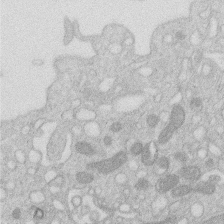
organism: Human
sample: Macrophage cells